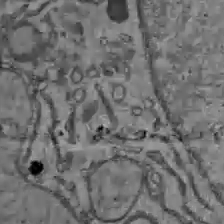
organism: C57BL Mouse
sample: Liver